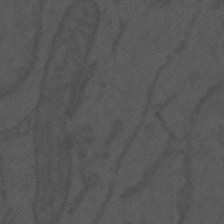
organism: Mouse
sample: Suprachiasmatic nucleus